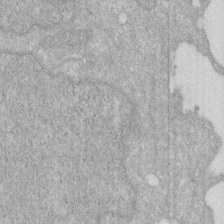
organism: Human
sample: HIV infected U937 cells